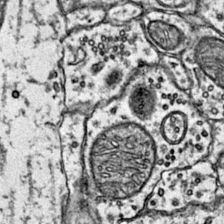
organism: Mouse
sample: Primary visual cortex